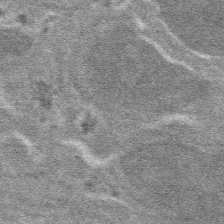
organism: Mouse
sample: Mouse hepatocytes